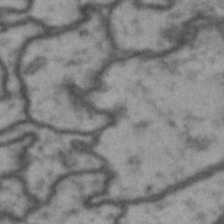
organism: Drosophila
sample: Brain